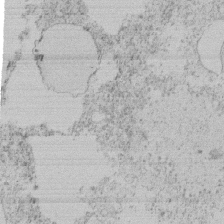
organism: Tetrahymena